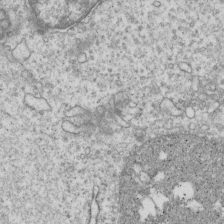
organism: Human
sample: MDA-MB-231 cells